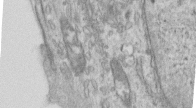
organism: Human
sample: Centriole in RPE cells